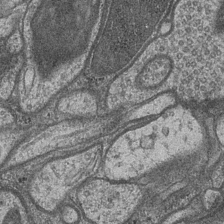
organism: Drosophila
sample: Optic medulla